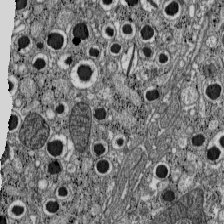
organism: C57BL Mouse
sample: Pancreatic islet